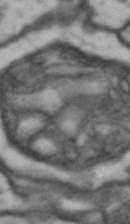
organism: Drosophila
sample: Brain